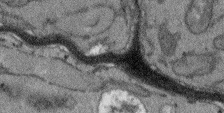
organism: Arabidopsis thaliana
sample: Root tip